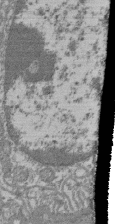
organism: Mouse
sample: Glomerulus